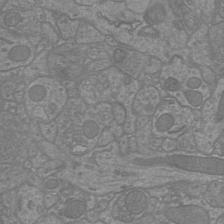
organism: Mouse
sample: Cortical neurons